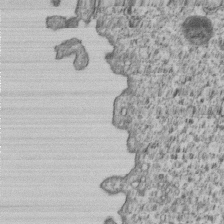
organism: Human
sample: MDA-MB-231 cells